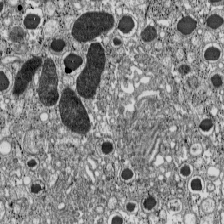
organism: C57BL Mouse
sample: Pancreatic islet